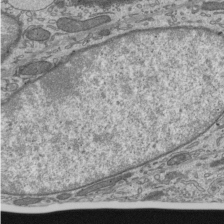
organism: Mouse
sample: Mouse epididymis efferent ductule cilia